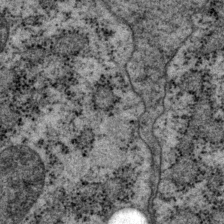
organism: P. pacificus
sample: Pharynx